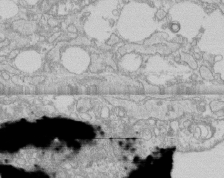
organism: Human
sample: CRL-1474